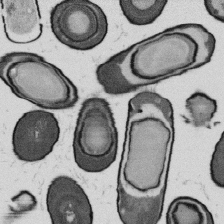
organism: B. subtilis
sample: Bacterial spore